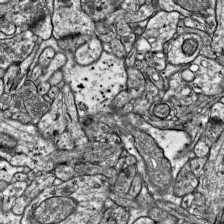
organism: Mouse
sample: Visual Cortex